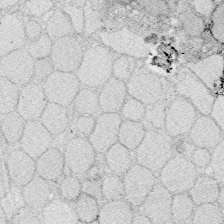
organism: Zebrafish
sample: Whole-Brain